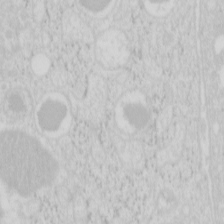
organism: Mouse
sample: Pancreas